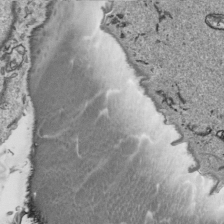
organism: Human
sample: Mitochondria in HCT116 cells